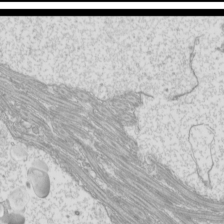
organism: Mouse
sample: Cilia; mouse epididymis